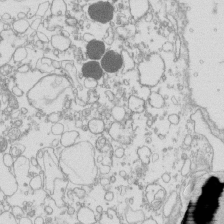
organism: Mouse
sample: Macrophages